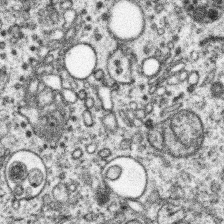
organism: Human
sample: HeLa cells